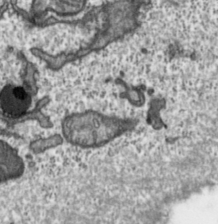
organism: Toxoplasma gondii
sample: Parasites in a vacuole inside a host cell